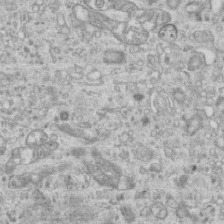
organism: Mouse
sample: Centriole in ependymal cells